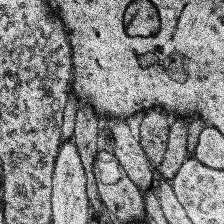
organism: Human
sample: Temporal Lobe